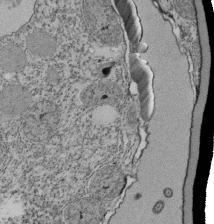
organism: Tetrahymena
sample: Cilia in tetrahymena